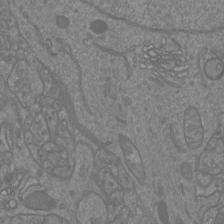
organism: Mouse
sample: Cortical neurons